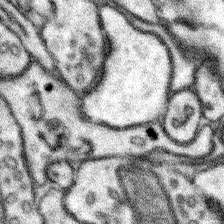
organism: Mouse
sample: Somatosensory cortex neuropil